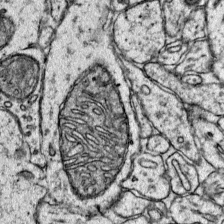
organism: Mouse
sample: Primary visual cortex